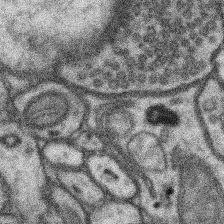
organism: Mouse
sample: Somatosensory cortex neuropil